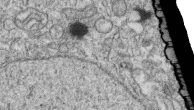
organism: Human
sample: HeLa cell HIV synapse